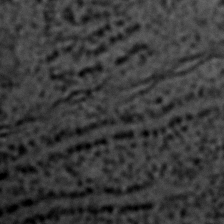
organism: C. elegans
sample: C. elegans embryo